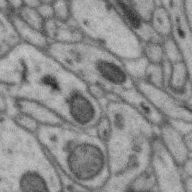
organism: Zebra finch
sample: Brain